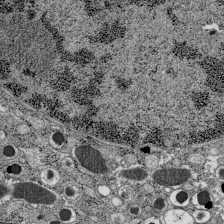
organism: C57BL Mouse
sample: Pancreatic islet